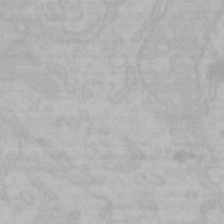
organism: Mouse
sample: Choroid plexus